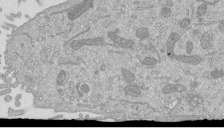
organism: Mouse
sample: ED-1 cell nuclei; centrioles